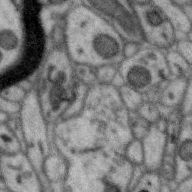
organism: Zebra finch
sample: Brain